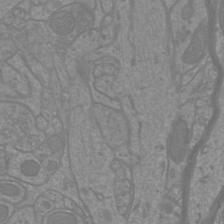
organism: Mouse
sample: Cortical neurons